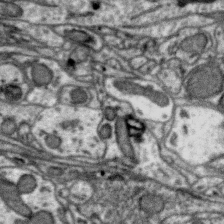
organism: Zebra finch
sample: Brain